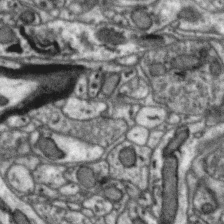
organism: Zebra finch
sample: Brain